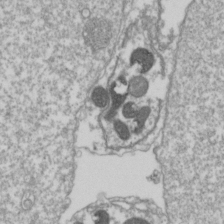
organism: Drosophila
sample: Cell division; meiosis; drosophila spermatocytes